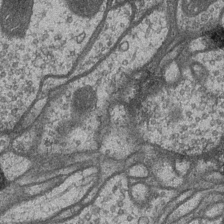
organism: Drosophila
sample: Optic medulla